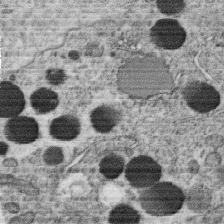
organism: C. elegans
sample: C. elegans oocyte; sperm cells